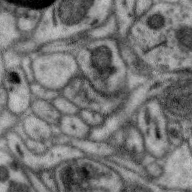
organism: Zebra finch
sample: Brain